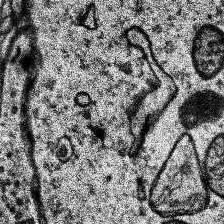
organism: Human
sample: Temporal Lobe